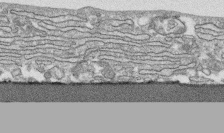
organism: Human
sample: CRL-1474